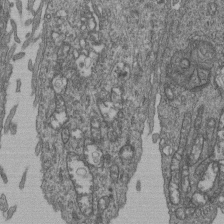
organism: Human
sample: Retinal organoid Rod and Cone cells